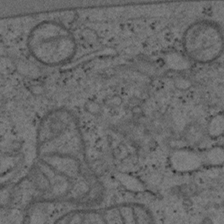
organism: Human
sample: HeLa cells